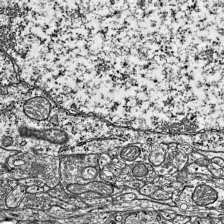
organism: Mouse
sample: Visual Cortex